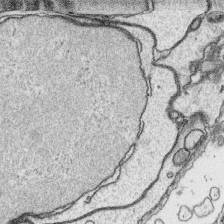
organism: Platynereis dumerilii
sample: Parapodia